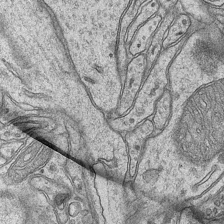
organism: Mouse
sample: CA1 Hippocampus